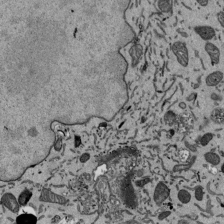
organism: Mouse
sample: ED-1 cell nuclei; centrioles